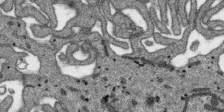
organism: Human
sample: Lung epithelial cells, uninfected (mock) control